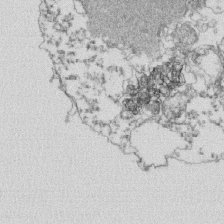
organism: Human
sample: HeLa cell HIV synapse